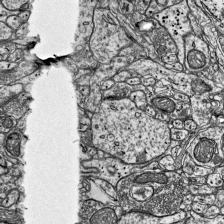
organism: Mouse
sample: Visual Cortex